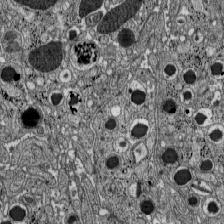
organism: C57BL Mouse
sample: Pancreatic islet